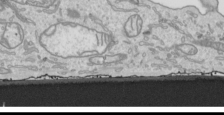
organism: Human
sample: Mitochondria in HCT116 cells